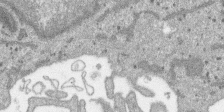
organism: Human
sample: Lung epithelial cells infected with SARS-CoV-2